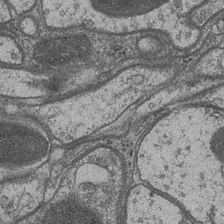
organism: Drosophila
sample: Optic medulla